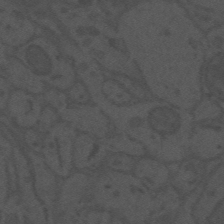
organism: Mouse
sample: Suprachiasmatic nucleus